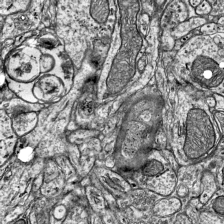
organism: Mouse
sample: Visual Cortex